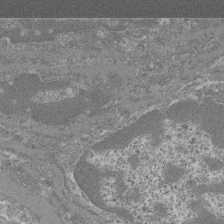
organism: Mouse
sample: Glomerulus